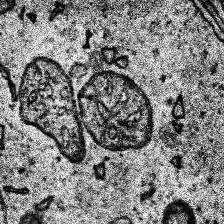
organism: Human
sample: Temporal Lobe